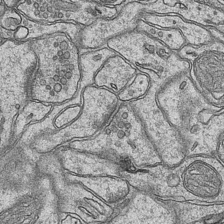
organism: Mouse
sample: CA1 Hippocampus